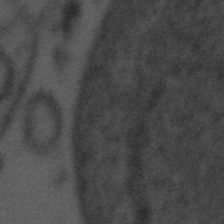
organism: Tuwongella immobilis